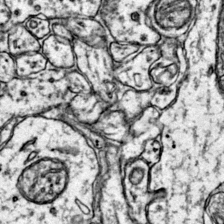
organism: Mouse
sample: Primary visual cortex